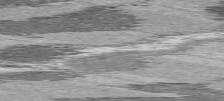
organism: C57BL Mouse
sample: Heart